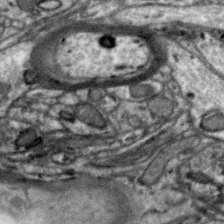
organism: Zebra finch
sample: Brain